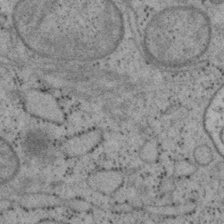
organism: Human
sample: HeLa cells